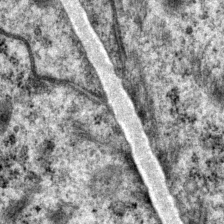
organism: P. pacificus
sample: Pharynx